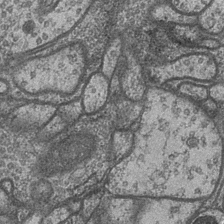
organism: Drosophila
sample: Optic medulla